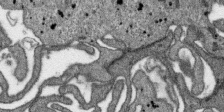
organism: Human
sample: Lung epithelial cells, uninfected (mock) control